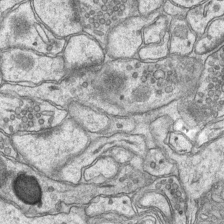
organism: Mouse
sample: CA1 Hippocampus